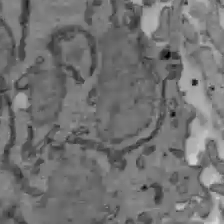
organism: C57BL Mouse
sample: Liver